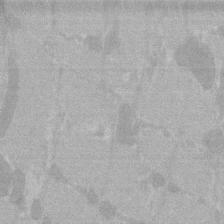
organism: C57BL Mouse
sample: Tibialis anterior muscle cell